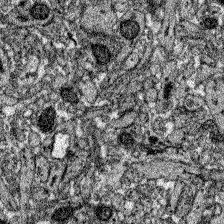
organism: Zebrafish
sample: Larval olfactory bulb